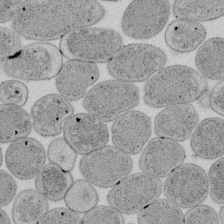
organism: E. coli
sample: Bacterial nucleoid